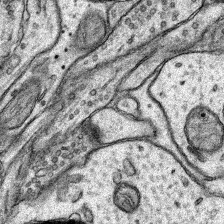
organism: Rat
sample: Hippocampus